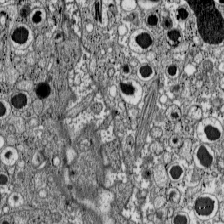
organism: C57BL Mouse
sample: Pancreatic islet